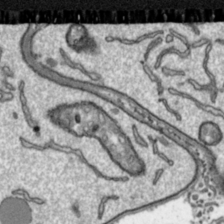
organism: Toxoplasma gondii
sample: Parasites in a vacuole inside a host cell